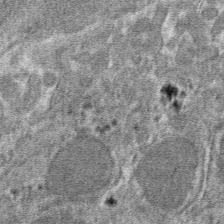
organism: Mouse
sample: Mouse hepatocytes